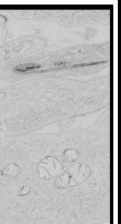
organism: Human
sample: Mitochondria in HCT116 cells